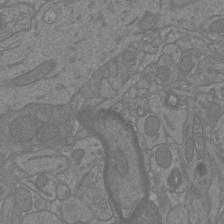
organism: Mouse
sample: Cortical neurons